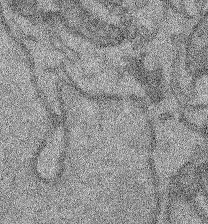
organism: Human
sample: HeLa cells